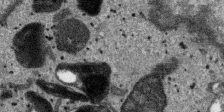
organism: Human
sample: Lung epithelial cells, uninfected (mock) control